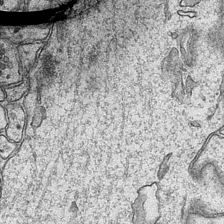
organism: Mouse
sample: CA1 Hippocampus